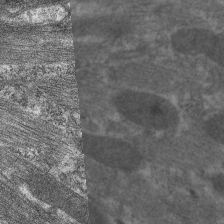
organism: C. elegans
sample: Pharynx